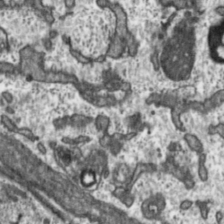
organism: Toxoplasma gondii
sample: Parasites in a vacuole inside a host cell